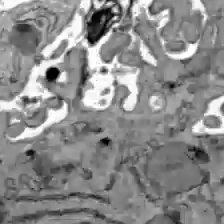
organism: C57BL Mouse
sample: Liver